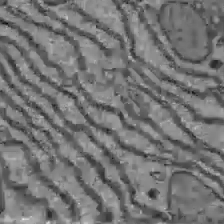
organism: C57BL Mouse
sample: Liver